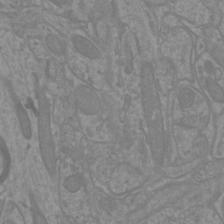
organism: Mouse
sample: Cortical neurons